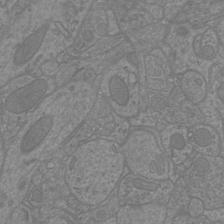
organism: Mouse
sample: Cortical neurons